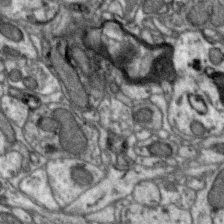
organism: Zebra finch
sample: Brain